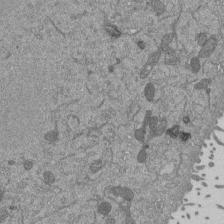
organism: Mouse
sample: ED-1 cell nuclei; centrioles